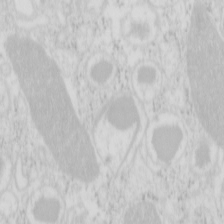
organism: Mouse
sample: Pancreas